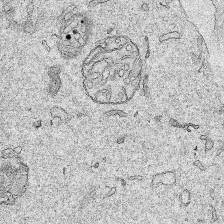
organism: Human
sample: Mitochondria in HCT116 cells